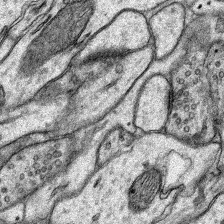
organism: Rat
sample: Hippocampus